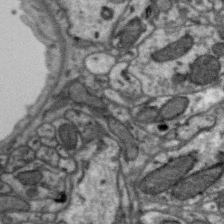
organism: Zebra finch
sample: Brain